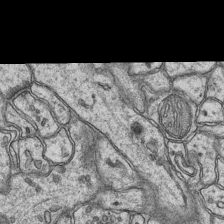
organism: Mouse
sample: CA1 Hippocampus